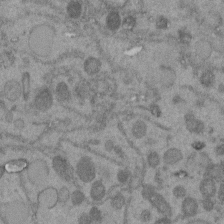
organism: C. elegans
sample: C. elegans embryo early stage